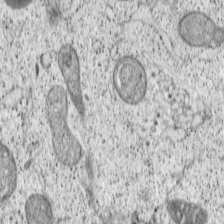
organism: African green monkey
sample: COS-7 cells